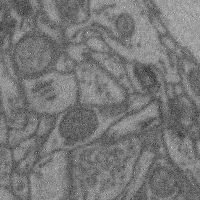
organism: Mouse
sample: Cerebral cortex